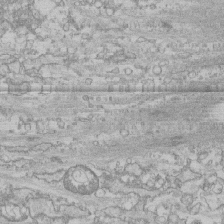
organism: Human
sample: CRL-1474